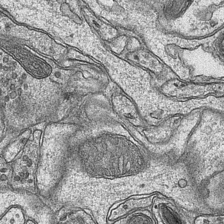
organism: Mouse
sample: CA1 Hippocampus